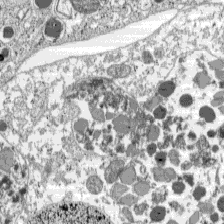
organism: C57BL Mouse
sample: Pancreatic islet